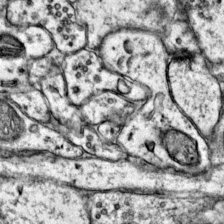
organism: Mouse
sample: Primary visual cortex